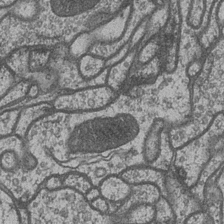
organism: Drosophila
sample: Optic medulla